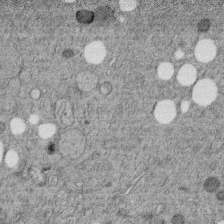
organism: C. elegans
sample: C. elegans embryo early stage